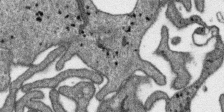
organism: Human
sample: Lung epithelial cells, uninfected (mock) control